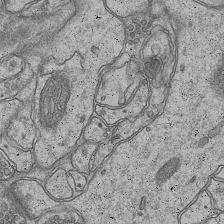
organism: Mouse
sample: CA1 Hippocampus